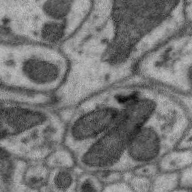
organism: Zebra finch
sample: Brain